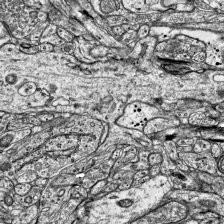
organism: Mouse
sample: Visual Cortex